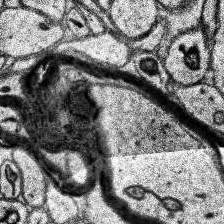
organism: Human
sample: Temporal Lobe